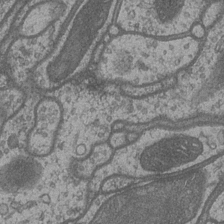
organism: Drosophila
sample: Optic medulla